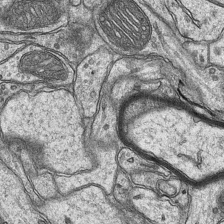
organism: Mouse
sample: CA1 Hippocampus